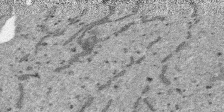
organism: Human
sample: Lung epithelial cells infected with SARS-CoV-2